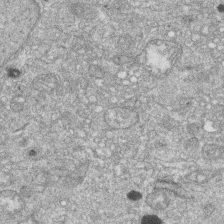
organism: Human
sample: HeLa cell HIV synapse